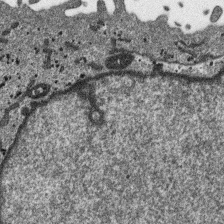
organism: Human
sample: Lung epithelial cells infected with SARS-CoV-2